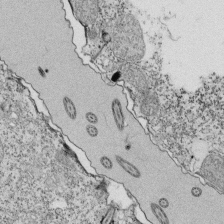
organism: Tetrahymena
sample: Cilia in tetrahymena